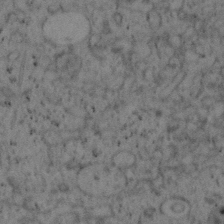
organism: Human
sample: HeLa cells